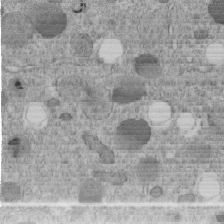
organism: C. elegans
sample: C. elegans embryo early stage